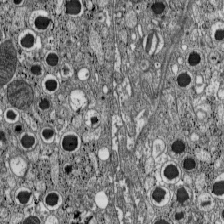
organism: C57BL Mouse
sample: Pancreatic islet